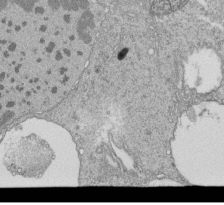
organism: Tetrahymena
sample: Cilia in tetrahymena